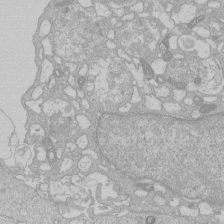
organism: Human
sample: Macrophage cells